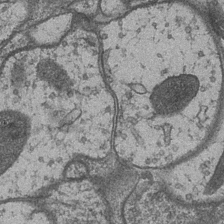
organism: Drosophila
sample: Optic medulla